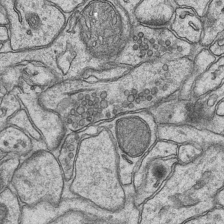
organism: Mouse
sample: CA1 Hippocampus